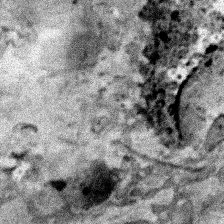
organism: Human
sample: Mitochondria in HCT116 cells